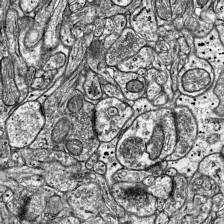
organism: Mouse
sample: Visual Cortex